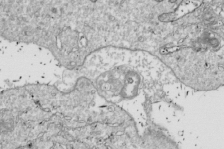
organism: Drosophila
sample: Cell division; meiosis; drosophila spermatocytes